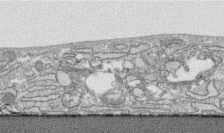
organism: Human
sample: CRL-1474